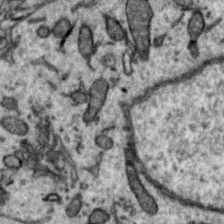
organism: Zebra finch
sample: Brain